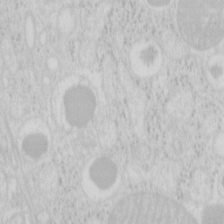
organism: Mouse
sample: Pancreas